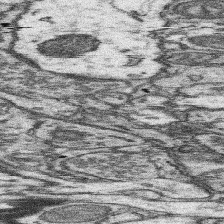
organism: Mouse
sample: Somatosensory cortex neuropil